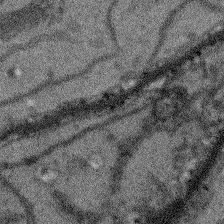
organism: Arabidopsis thaliana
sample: Root tip